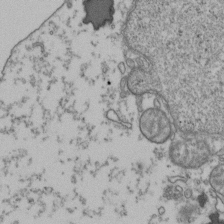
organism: Human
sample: Activated Jurkat CD4+ T cells